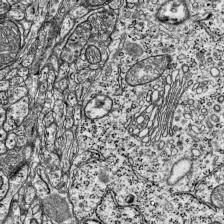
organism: Mouse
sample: Visual Cortex